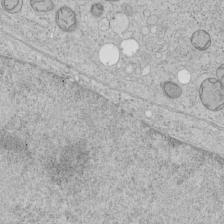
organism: Human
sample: Mitochondria in HCT116 cells